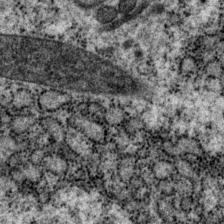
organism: P. pacificus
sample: Pharynx